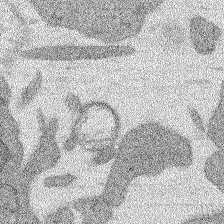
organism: Human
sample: HeLa cells